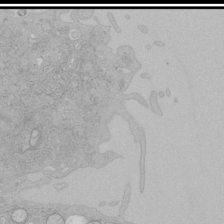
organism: Human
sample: Mitochondria in HCT116 cells